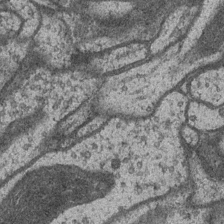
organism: Drosophila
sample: Optic medulla